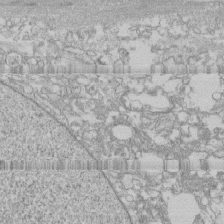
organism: Human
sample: CRL-1474